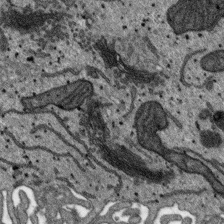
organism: Human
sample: Lung epithelial cells, uninfected (mock) control